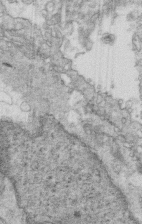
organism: Mouse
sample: Multiciliated cells